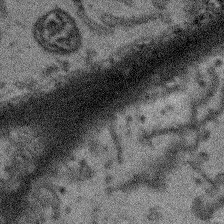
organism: Arabidopsis thaliana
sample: Root tip